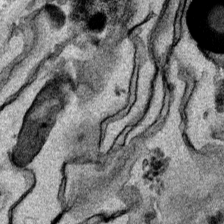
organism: Mouse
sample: Cancer cell death in ED-1 cells